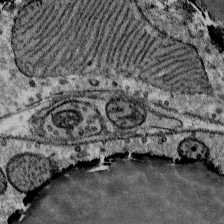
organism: Mouse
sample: Mouse Salivary gland